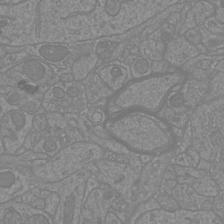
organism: Mouse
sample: Cortical neurons